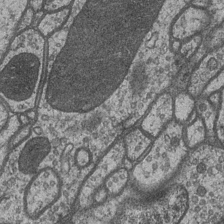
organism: Drosophila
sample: Optic medulla